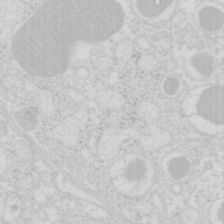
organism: Mouse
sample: Pancreas